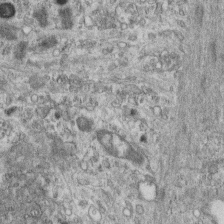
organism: Mouse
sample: Centriole in ependymal cells